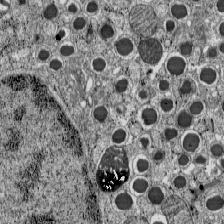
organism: C57BL Mouse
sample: Pancreatic islet